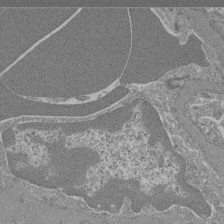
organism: Mouse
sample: Glomerulus